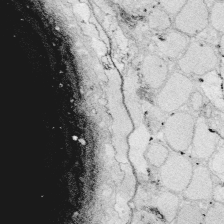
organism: Zebrafish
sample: Whole-Brain